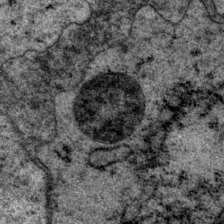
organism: P. pacificus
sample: Pharynx